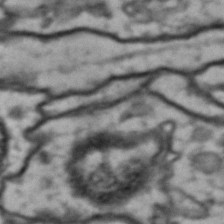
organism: Drosophila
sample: Brain